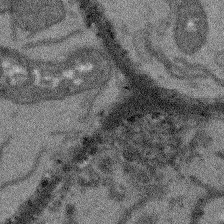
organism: Arabidopsis thaliana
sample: Root tip